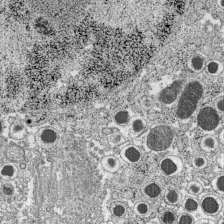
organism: C57BL Mouse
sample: Pancreatic islet